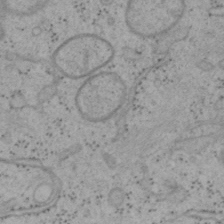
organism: Human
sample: HeLa cells